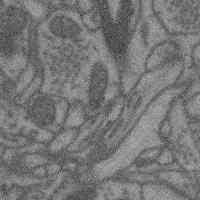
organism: Mouse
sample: Cerebral cortex